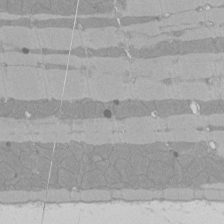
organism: Rat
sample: Left ventricle